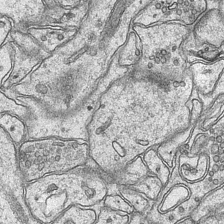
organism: Mouse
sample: CA1 Hippocampus